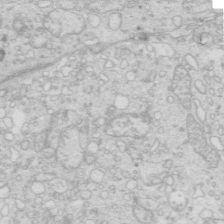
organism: Mouse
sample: Multiciliated cells